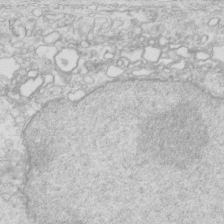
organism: Mouse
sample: Multiciliated cells